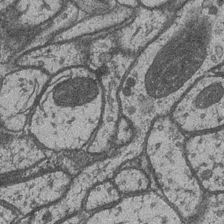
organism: Drosophila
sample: Optic medulla